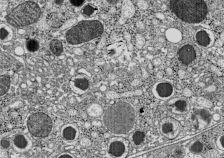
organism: C57BL Mouse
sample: Pancreatic islet